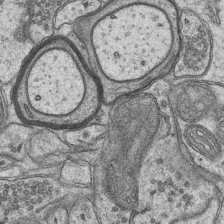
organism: Mouse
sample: CA1 Hippocampus